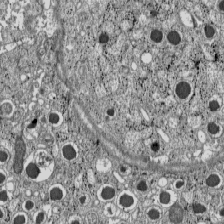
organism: C57BL Mouse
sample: Pancreatic islet